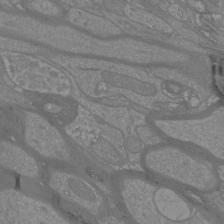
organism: Mouse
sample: Cortical neurons